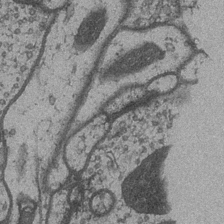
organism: Drosophila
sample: Optic medulla